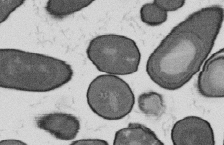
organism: B. subtilis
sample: Bacterial spore